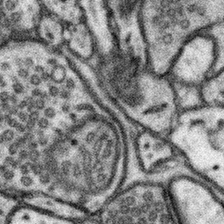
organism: Mouse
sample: Somatosensory cortex neuropil